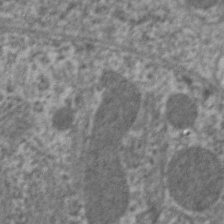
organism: C. elegans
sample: Pharynx